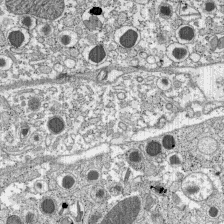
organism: C57BL Mouse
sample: Pancreatic islet